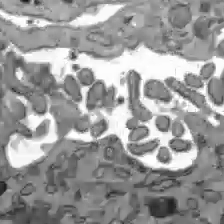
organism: C57BL Mouse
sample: Liver